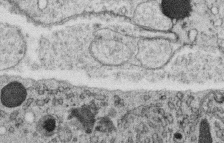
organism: C. elegans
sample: C. elegans oocyte; sperm cells